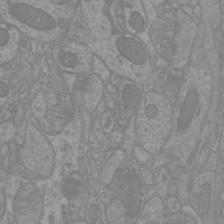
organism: Mouse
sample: Cortical neurons